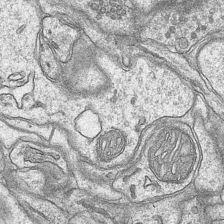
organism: Mouse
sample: CA1 Hippocampus